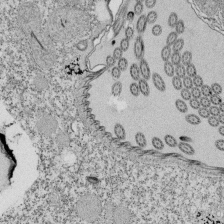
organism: Tetrahymena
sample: Cilia in tetrahymena